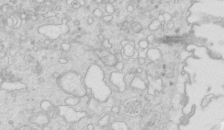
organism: Mouse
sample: Multiciliated cells